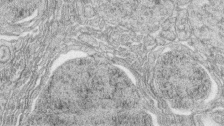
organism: Zebrafish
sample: synaptic ribbons in rod cells and cone cells